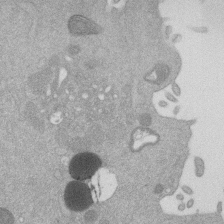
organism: Mouse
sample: Dividing mouse embryo 1 cell stage